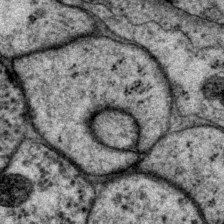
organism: P. pacificus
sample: Pharynx